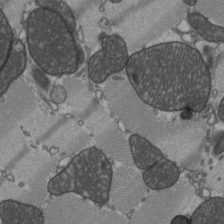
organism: C57BL Mouse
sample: Heart